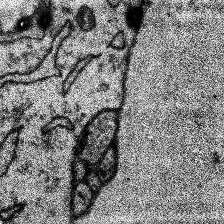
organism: Human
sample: Temporal Lobe